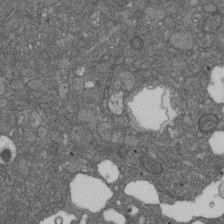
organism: Drosophila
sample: Nephrocyte